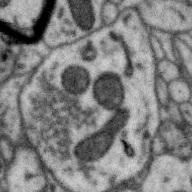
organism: Zebra finch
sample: Brain